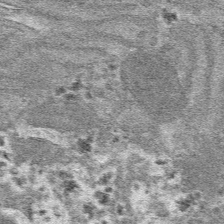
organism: Mouse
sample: Mouse hepatocytes